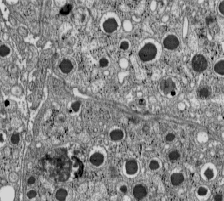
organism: C57BL Mouse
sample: Pancreatic islet